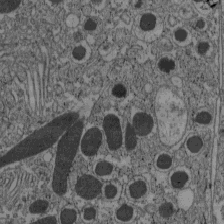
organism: C57BL Mouse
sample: Pancreatic islet